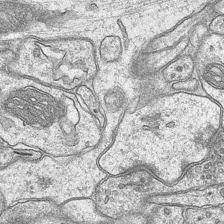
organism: Mouse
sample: CA1 Hippocampus